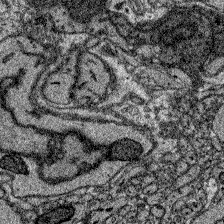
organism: Zebrafish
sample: Larval olfactory bulb